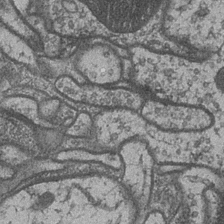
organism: Drosophila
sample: Optic medulla